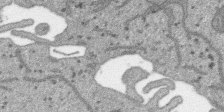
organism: Human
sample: Lung epithelial cells infected with SARS-CoV-2